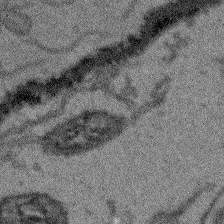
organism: Arabidopsis thaliana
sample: Root tip